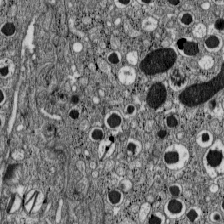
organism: C57BL Mouse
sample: Pancreatic islet